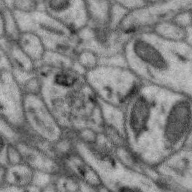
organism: Zebra finch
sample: Brain